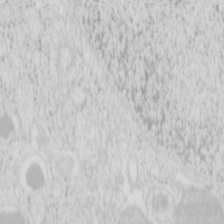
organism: Mouse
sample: Pancreas